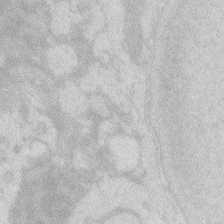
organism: Zebrafish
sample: Macrophage